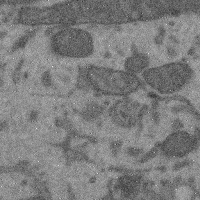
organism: Mouse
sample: Cerebral cortex